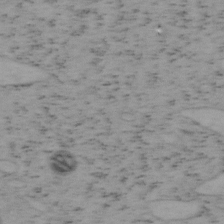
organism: Mouse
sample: OT-I killer T cells with ID8 ovarian cancer cells